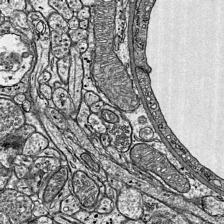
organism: Mouse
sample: Visual Cortex